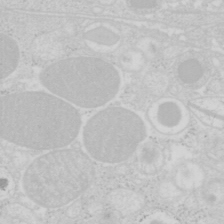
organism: Mouse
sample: Pancreas